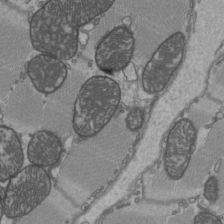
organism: C57BL Mouse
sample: Heart